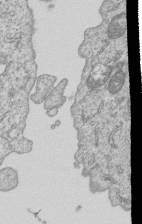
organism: Human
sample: MDA-MB-231 cells